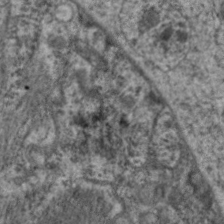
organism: C. elegans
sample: Pharynx